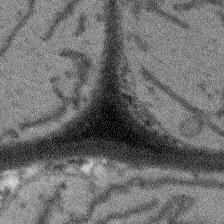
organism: Arabidopsis thaliana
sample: Root tip